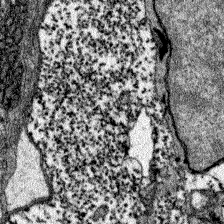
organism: Zebrafish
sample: Larval olfactory bulb